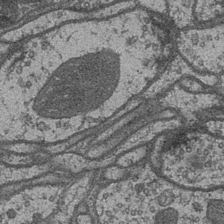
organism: Drosophila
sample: Optic medulla